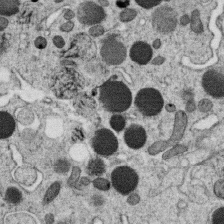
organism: C. elegans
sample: C. elegans oocyte; sperm cells